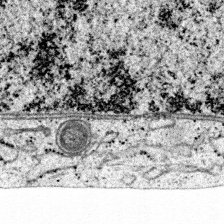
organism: Human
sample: HeLa cells